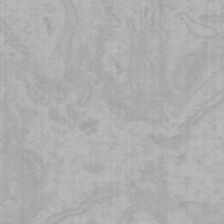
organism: Mouse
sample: Choroid plexus